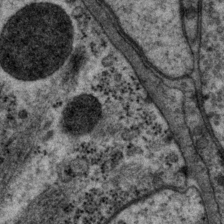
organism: P. pacificus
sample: Pharynx